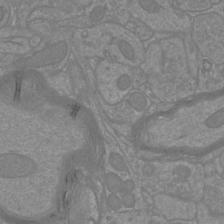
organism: Mouse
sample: Cortical neurons